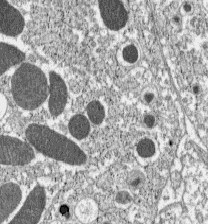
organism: C57BL Mouse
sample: Pancreatic islet